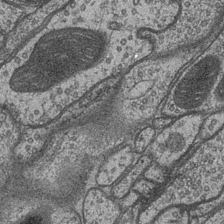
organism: Drosophila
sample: Optic medulla